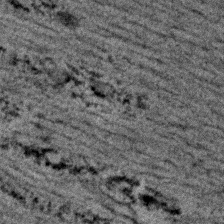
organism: C. elegans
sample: C. elegans embryo